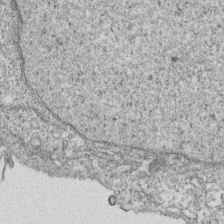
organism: Human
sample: HeLa cell HIV synapse